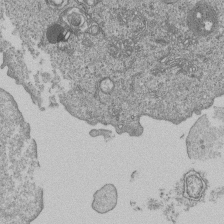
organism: Human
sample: MDA-MB-231 cells